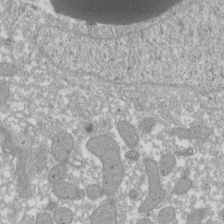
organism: Xenopus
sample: Cilia; centrioles in frog embryo cells